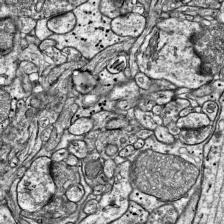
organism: Mouse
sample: Visual Cortex